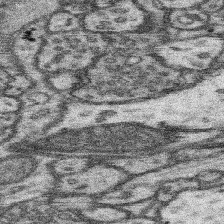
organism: Mouse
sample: Somatosensory cortex neuropil